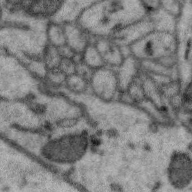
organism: Zebra finch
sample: Brain